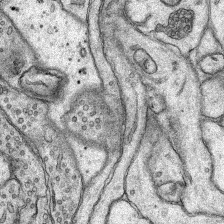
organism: Rat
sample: Hippocampus